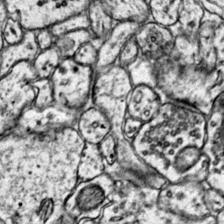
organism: Mouse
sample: Primary visual cortex